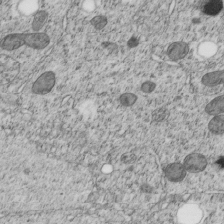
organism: C. elegans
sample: C. elegans embryo early stage